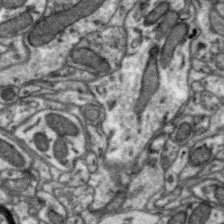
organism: Zebra finch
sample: Brain